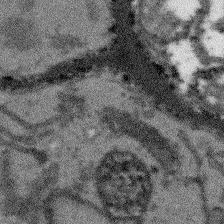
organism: Arabidopsis thaliana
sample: Root tip